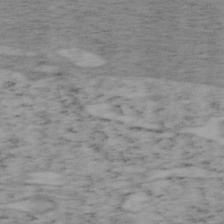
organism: Mouse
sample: OT-I killer T cells with ID8 ovarian cancer cells